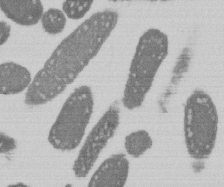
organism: E. coli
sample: Bacterial nucleoid